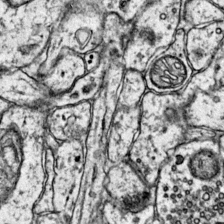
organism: Mouse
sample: Primary visual cortex